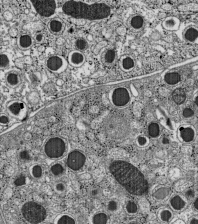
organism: C57BL Mouse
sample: Pancreatic islet